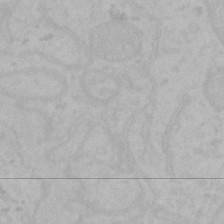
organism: Mouse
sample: Choroid plexus